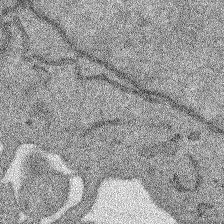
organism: Human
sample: HeLa cells